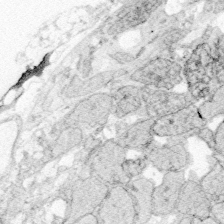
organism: Zebrafish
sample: Whole-Brain